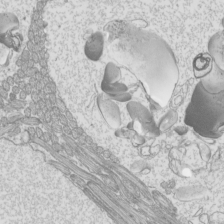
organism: Mouse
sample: Cilia; mouse epididymis